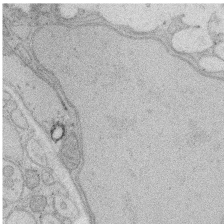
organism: Rat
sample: Salivary granule